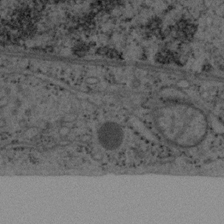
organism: Human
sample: HeLa cells